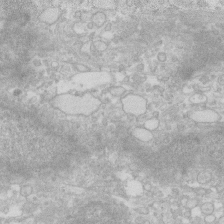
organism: Human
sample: Fibroblast cells